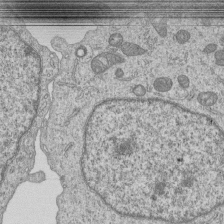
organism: Human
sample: MDA-MB-231 cells